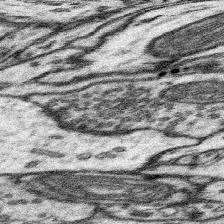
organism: Mouse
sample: Somatosensory cortex neuropil